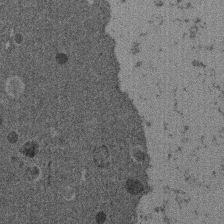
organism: Mouse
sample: Dividing mouse embryo 1 cell stage